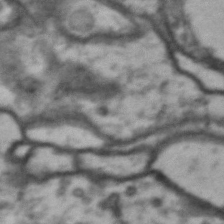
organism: Drosophila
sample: Brain